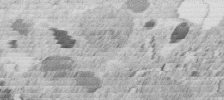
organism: C. elegans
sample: C. elegans embryo early stage